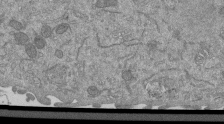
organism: Mouse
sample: ED-1 cell nuclei; centrioles